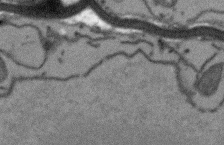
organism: Arabidopsis thaliana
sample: Root tip